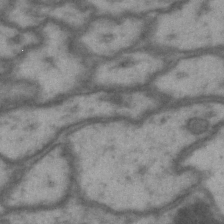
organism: Drosophila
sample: Brain